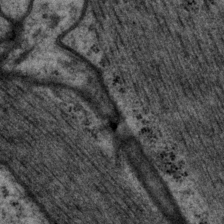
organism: P. pacificus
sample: Pharynx